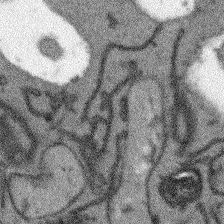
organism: Arabidopsis thaliana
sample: Root tip